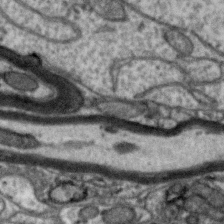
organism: Zebra finch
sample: Brain